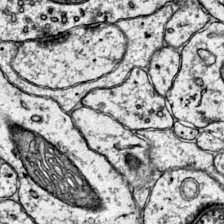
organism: Mouse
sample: Primary visual cortex